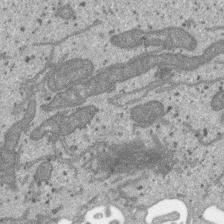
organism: Human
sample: Lung epithelial cells infected with SARS-CoV-2